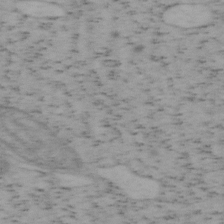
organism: Mouse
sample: OT-I killer T cells with ID8 ovarian cancer cells